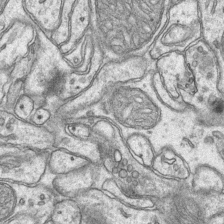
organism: Mouse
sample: CA1 Hippocampus